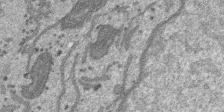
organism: Human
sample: Lung epithelial cells infected with SARS-CoV-2